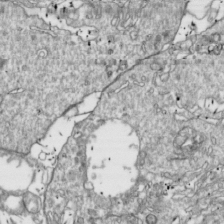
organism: Drosophila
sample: Cell division; meiosis; drosophila spermatocytes